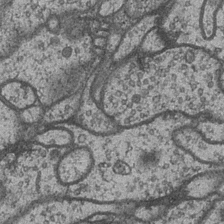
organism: Drosophila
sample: Optic medulla